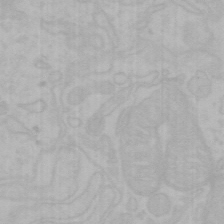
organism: Mouse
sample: Choroid plexus